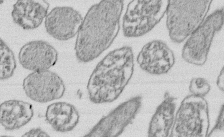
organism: E. coli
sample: Bacterial nucleoid